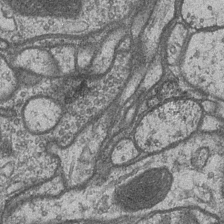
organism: Drosophila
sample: Optic medulla